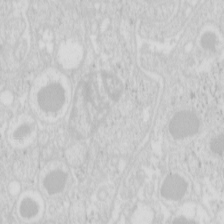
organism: Mouse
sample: Pancreas